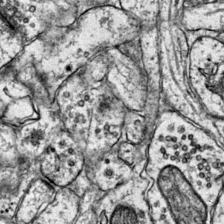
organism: Mouse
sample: Primary visual cortex